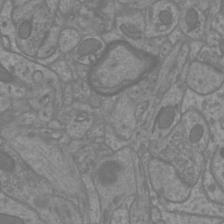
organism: Mouse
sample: Cortical neurons